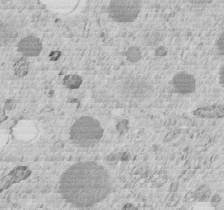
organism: C. elegans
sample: C. elegans embryo early stage